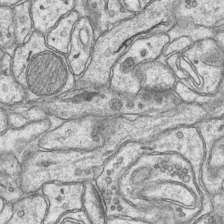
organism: Mouse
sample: CA1 Hippocampus